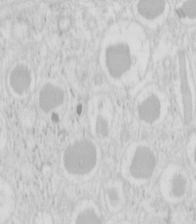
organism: Mouse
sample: Pancreas